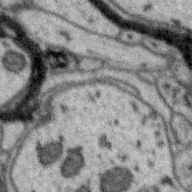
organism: Zebra finch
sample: Brain